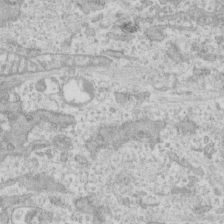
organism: Human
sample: CRL-1474